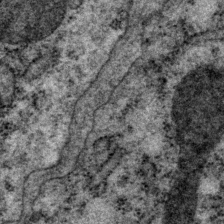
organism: P. pacificus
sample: Pharynx